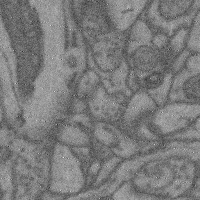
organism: Mouse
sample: Cerebral cortex